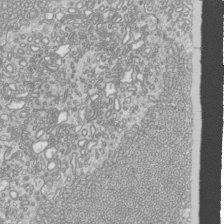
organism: Mouse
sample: Cilia; mouse epididymis